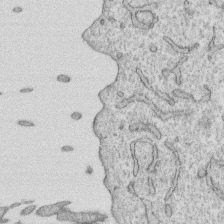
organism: Human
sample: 1205lu cells